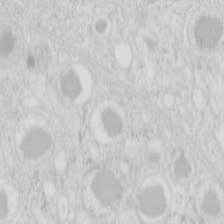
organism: Mouse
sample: Pancreas